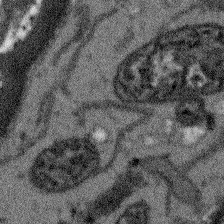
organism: Arabidopsis thaliana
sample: Root tip